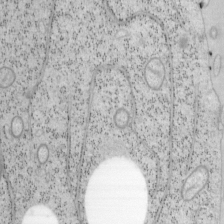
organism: Mouse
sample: OT-I killer T cells with ID8 ovarian cancer cells